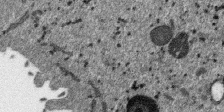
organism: Human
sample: Lung epithelial cells infected with SARS-CoV-2